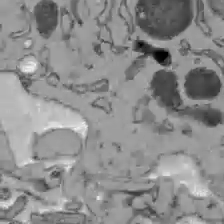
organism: C57BL Mouse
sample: Liver